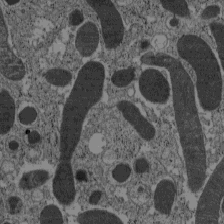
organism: C57BL Mouse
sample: Pancreatic islet